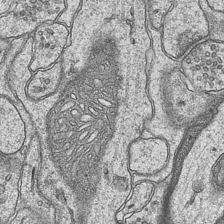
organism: Mouse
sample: CA1 Hippocampus